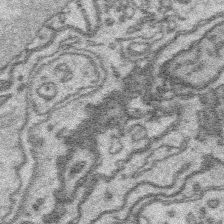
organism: Platynereis dumerilii